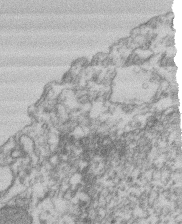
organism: Mouse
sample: T cell stromal cell synapse